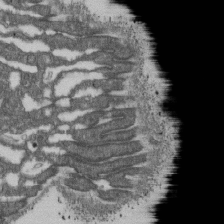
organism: Drosophila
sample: Nephrocyte